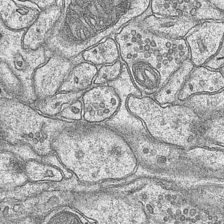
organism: Mouse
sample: CA1 Hippocampus